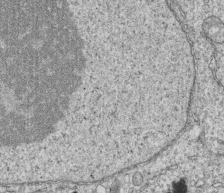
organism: Human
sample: HeLa cell HIV synapse